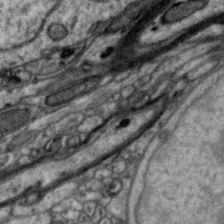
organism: Zebra finch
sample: Brain